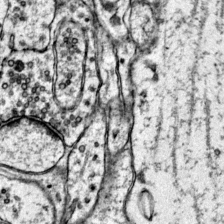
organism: Mouse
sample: Primary visual cortex